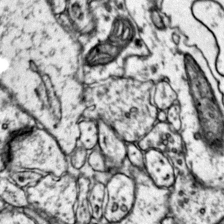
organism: Mouse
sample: Primary visual cortex